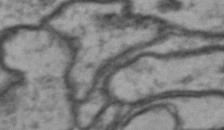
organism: Drosophila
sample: Brain